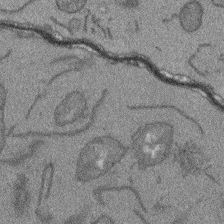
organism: Arabidopsis thaliana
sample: Root tip